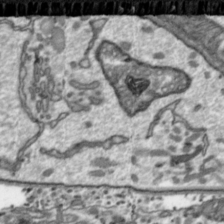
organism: Toxoplasma gondii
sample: Parasites in a vacuole inside a host cell